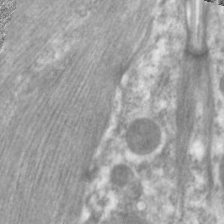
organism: C. elegans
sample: Pharynx